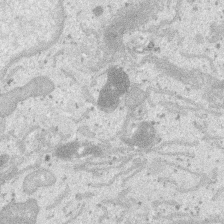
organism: Human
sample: Lung epithelial cells infected with SARS-CoV-2